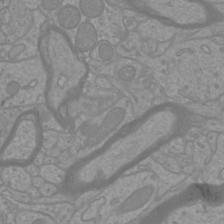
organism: Mouse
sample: Cortical neurons